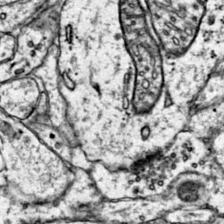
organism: Mouse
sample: Primary visual cortex